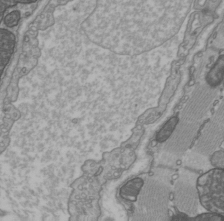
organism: C57BL Mouse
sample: Heart